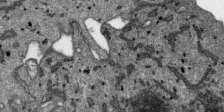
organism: Human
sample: Lung epithelial cells, uninfected (mock) control